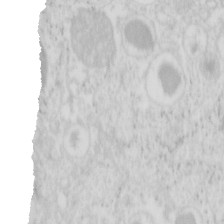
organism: Mouse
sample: Pancreas